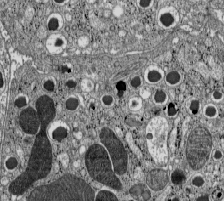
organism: C57BL Mouse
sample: Pancreatic islet